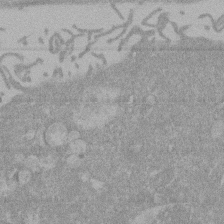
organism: Mouse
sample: ED-1 cell nuclei; centrioles